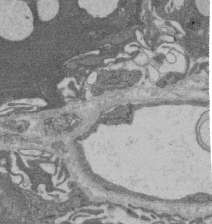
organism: Rat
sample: Salivary granule